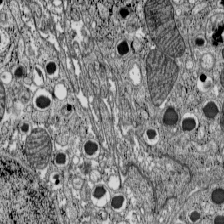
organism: C57BL Mouse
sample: Pancreatic islet